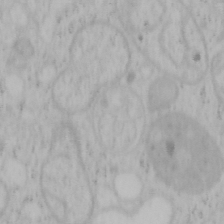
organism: Mouse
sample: OT-I killer T cells with ID8 ovarian cancer cells